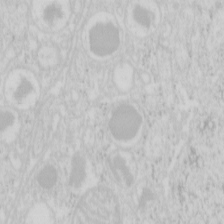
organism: Mouse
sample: Pancreas